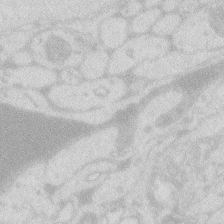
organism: Zebrafish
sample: Macrophage